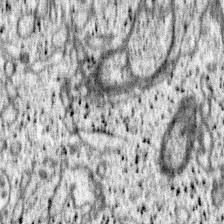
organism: Human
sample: HeLa cells